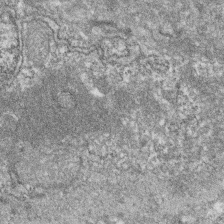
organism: Zebrafish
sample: Cilia; retinal pigment epithelium